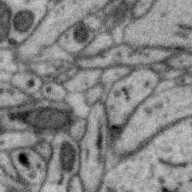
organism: Zebra finch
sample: Brain